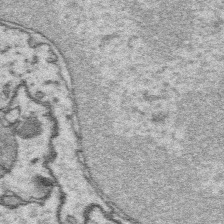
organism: Platynereis dumerilii